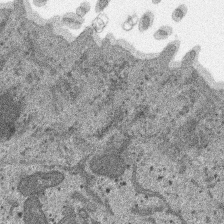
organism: Human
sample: Lung epithelial cells infected with SARS-CoV-2